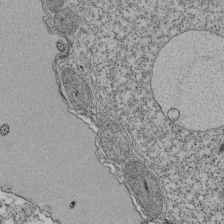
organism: Tetrahymena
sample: Cilia in tetrahymena